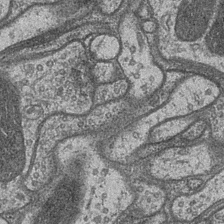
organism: Drosophila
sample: Optic medulla